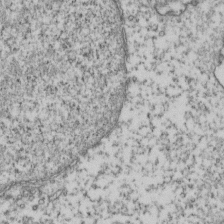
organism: Human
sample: Activated Jurkat CD4+ T cells